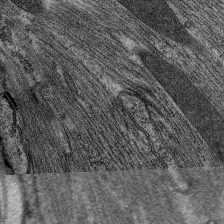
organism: C. elegans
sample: Pharynx